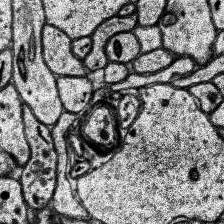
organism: Human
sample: Temporal Lobe